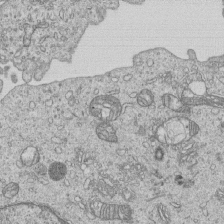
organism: Human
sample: MDA-MB-231 cells